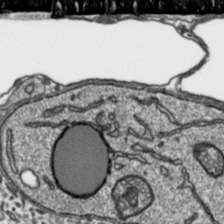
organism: Toxoplasma gondii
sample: Parasites in a vacuole inside a host cell